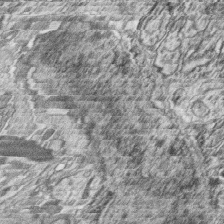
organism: Zebrafish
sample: synaptic ribbons in rod cells and cone cells